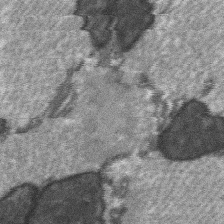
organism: C57BL Mouse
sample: Soleus